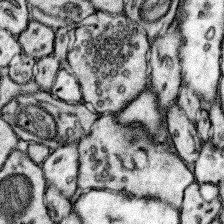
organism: Mouse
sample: Somatosensory cortex neuropil